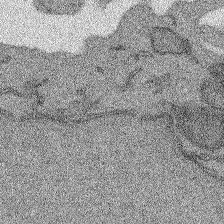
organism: Human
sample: HeLa cells